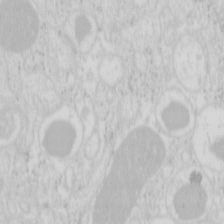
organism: Mouse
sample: Pancreas